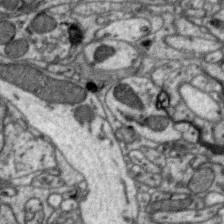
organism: Zebra finch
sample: Brain